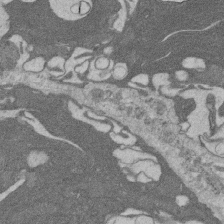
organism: Rat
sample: Salivary granule